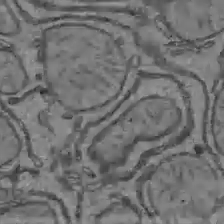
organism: C57BL Mouse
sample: Liver